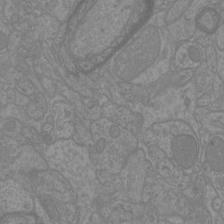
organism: Mouse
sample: Cortical neurons